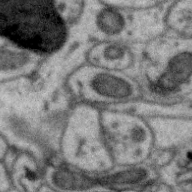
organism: Zebra finch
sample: Brain